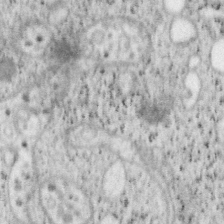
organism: Mouse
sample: OT-I killer T cells with ID8 ovarian cancer cells